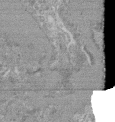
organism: Mouse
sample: Glomerulus